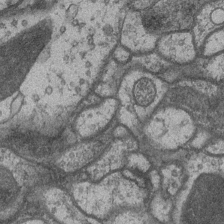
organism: Drosophila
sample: Optic medulla